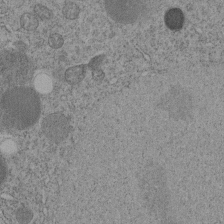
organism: C. elegans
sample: C. elegans embryo early stage